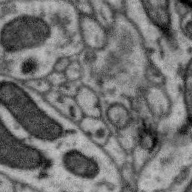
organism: Zebra finch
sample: Brain